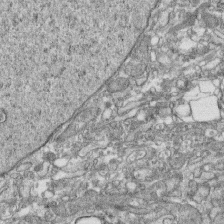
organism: Human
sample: CRL-1474